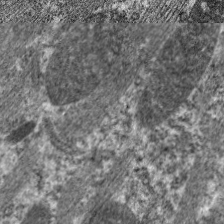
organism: C. elegans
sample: Pharynx